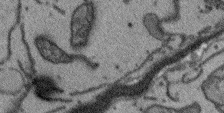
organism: Arabidopsis thaliana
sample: Root tip